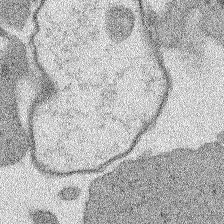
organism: Human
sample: HeLa cells